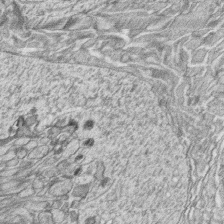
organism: Zebrafish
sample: synaptic ribbons in rod cells and cone cells